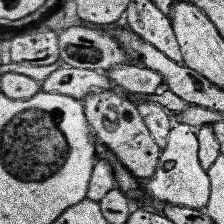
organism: Human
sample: Temporal Lobe